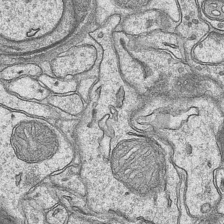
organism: Mouse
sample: CA1 Hippocampus